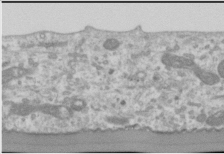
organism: Human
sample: Cilia; basal body in RPE cells